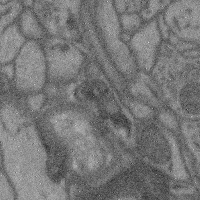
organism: Mouse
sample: Cerebral cortex